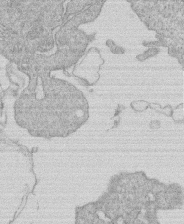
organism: Human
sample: Macrophage cells